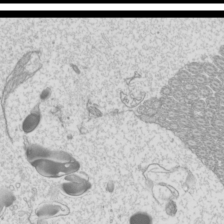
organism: Mouse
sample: Cilia; mouse epididymis